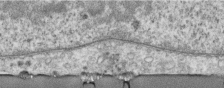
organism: Human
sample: Centriole in RPE cells